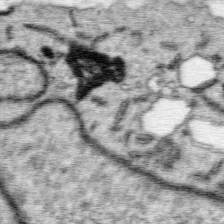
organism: Human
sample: HeLa cells